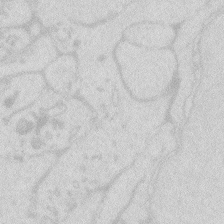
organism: Zebrafish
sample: Macrophage